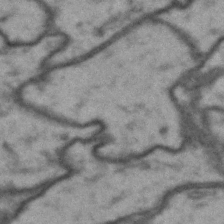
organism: Drosophila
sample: Brain